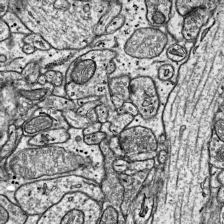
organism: Mouse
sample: Visual Cortex